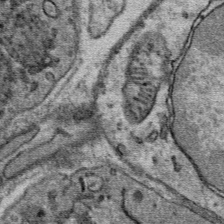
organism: Mouse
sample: Mouse Salivary gland